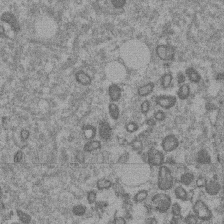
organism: Mouse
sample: Dividing mouse embryo 1 cell stage